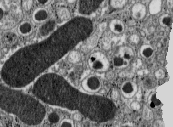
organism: C57BL Mouse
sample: Pancreatic islet